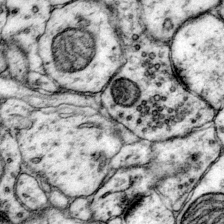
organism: Mouse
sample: Primary visual cortex